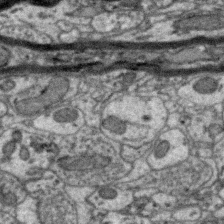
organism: Zebra finch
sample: Brain